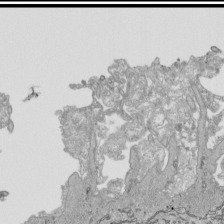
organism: Human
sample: Mitochondria in HCT116 cells